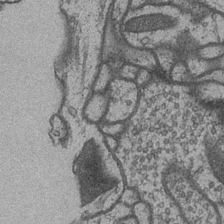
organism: Drosophila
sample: Optic medulla